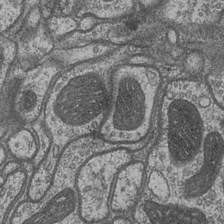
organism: Drosophila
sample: Optic medulla